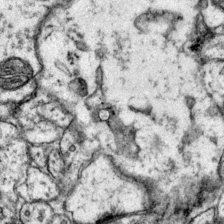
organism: Mouse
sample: Primary visual cortex